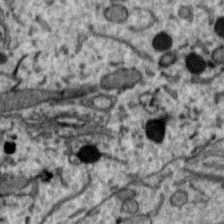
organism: Zebra finch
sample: Brain